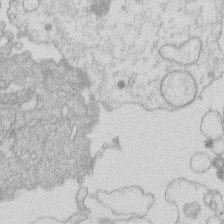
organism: Human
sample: Macrophage cells